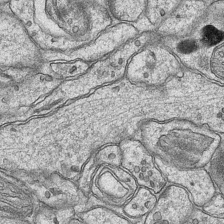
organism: Mouse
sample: CA1 Hippocampus